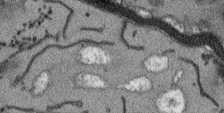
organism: Arabidopsis thaliana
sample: Root tip